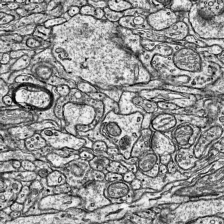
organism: Mouse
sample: Visual Cortex